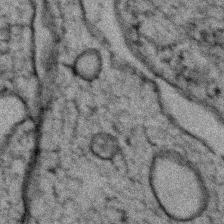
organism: Zebrafish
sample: Zebrafish embryo